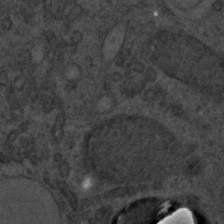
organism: C. elegans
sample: C. elegans embryo